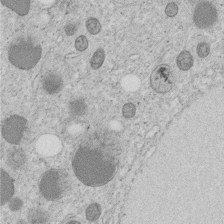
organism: C. elegans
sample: C. elegans embryo early stage